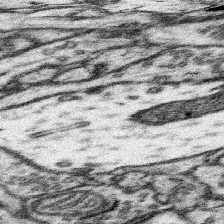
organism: Mouse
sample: Somatosensory cortex neuropil